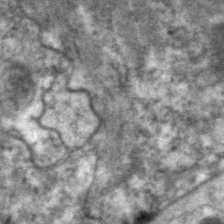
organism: C. elegans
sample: Pharynx